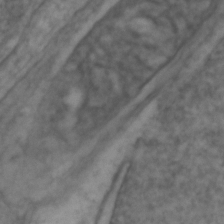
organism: Zebrafish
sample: Zebrafish embryo